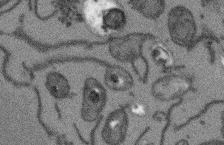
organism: Arabidopsis thaliana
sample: Root tip